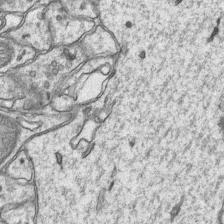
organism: Mouse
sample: CA1 Hippocampus